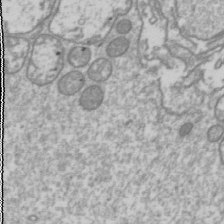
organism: Drosophila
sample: Cell division; meiosis; drosophila spermatocytes